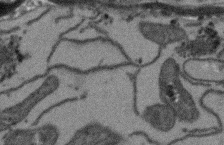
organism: Arabidopsis thaliana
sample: Root tip